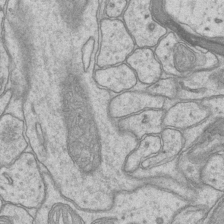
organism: Mouse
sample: CA1 Hippocampus